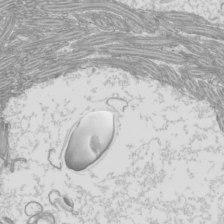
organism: Mouse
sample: Cilia; mouse epididymis